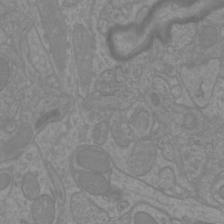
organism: Mouse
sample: Cortical neurons